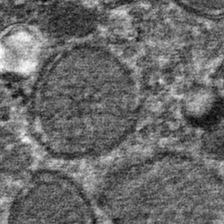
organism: Mouse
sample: Mouse hepatocytes